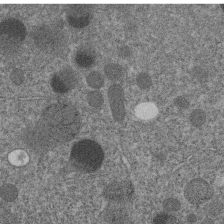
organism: C. elegans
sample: C. elegans embryo early stage